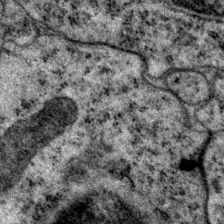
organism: P. pacificus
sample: Pharynx